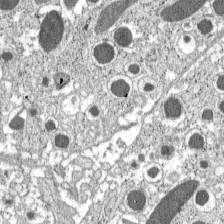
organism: C57BL Mouse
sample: Pancreatic islet